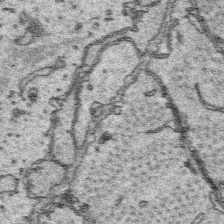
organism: Platynereis dumerilii